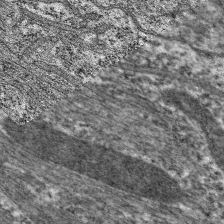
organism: C. elegans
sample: Pharynx